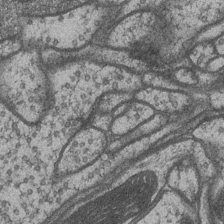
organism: Drosophila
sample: Optic medulla